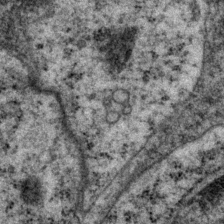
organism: P. pacificus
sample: Pharynx